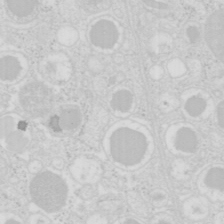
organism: Mouse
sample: Pancreas